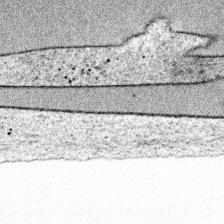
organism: Human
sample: HeLa cells